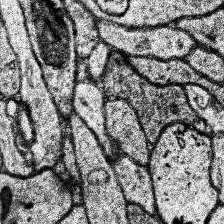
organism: Human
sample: Temporal Lobe